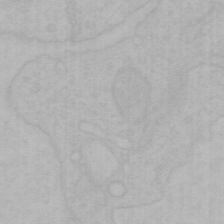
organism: Mouse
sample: Choroid plexus